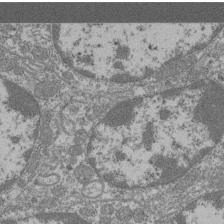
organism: Mouse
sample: Glomerulus